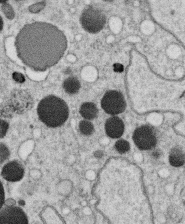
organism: C. elegans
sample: C. elegans oocyte; sperm cells